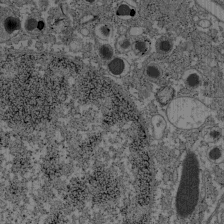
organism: C57BL Mouse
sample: Pancreatic islet